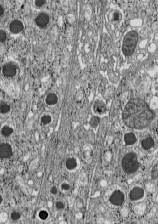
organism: C57BL Mouse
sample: Pancreatic islet